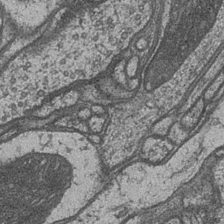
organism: Drosophila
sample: Optic medulla